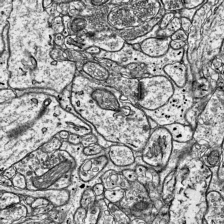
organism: Mouse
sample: Visual Cortex